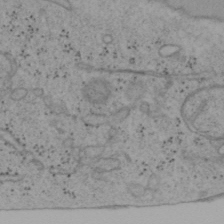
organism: Human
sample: HeLa cells